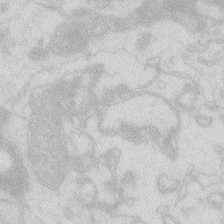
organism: Zebrafish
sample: Macrophage